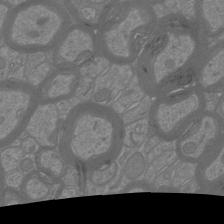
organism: Mouse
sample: Cortical neurons